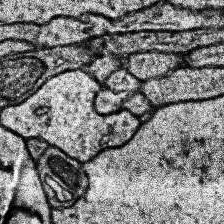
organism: Human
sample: Temporal Lobe